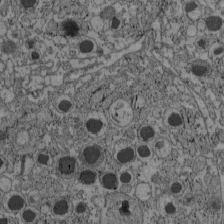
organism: C57BL Mouse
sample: Pancreatic islet